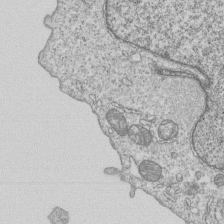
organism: Human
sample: MDA-MB-231 cells